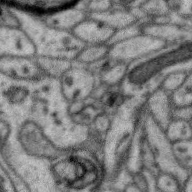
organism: Zebra finch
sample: Brain